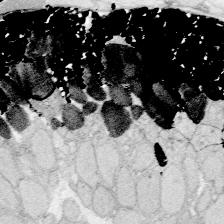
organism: Zebrafish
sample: Whole-Brain